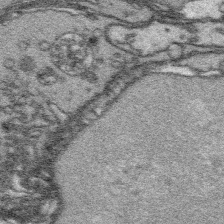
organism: Platynereis dumerilii